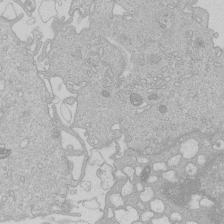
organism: Human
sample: Macrophage cells